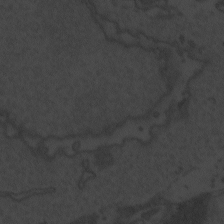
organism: Zebrafish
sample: Macrophage infected with Toxoplasma gondii